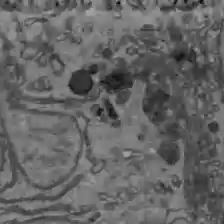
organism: C57BL Mouse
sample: Liver